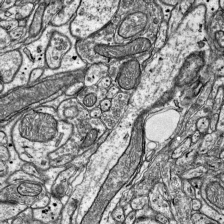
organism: Mouse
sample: Visual Cortex